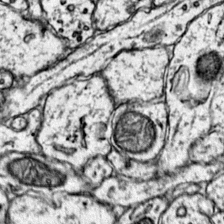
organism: Mouse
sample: Primary visual cortex